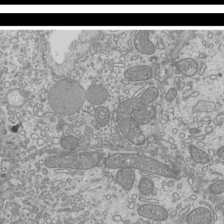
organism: Mouse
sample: Cilia; mouse epididymis